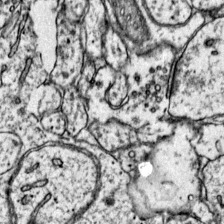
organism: Mouse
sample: Primary visual cortex